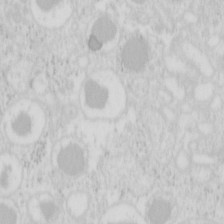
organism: Mouse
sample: Pancreas